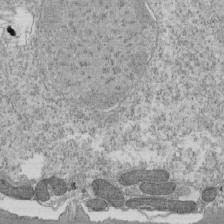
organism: Tetrahymena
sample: Cilia in tetrahymena